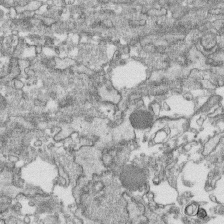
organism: Human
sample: CRL-1474